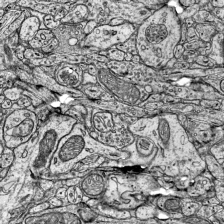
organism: Mouse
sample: Visual Cortex